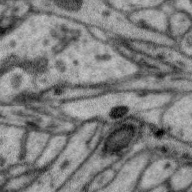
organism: Zebra finch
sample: Brain